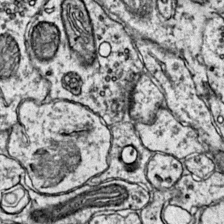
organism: Mouse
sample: Primary visual cortex